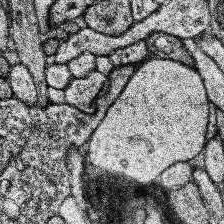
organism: Human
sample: Temporal Lobe